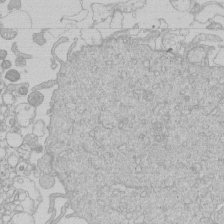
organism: Human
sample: Macrophage cells